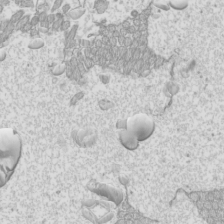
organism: Mouse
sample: Cilia; mouse epididymis